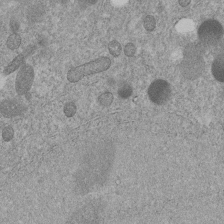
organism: C. elegans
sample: C. elegans embryo early stage